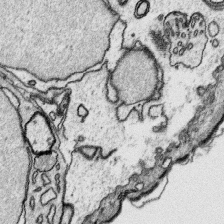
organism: Platynereis dumerilii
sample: Parapodia